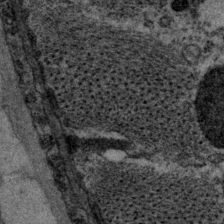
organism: P. pacificus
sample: Pharynx